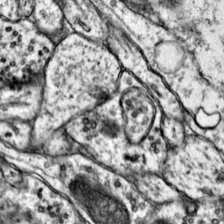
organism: Mouse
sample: Primary visual cortex